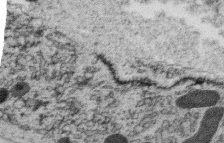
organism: C. elegans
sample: C. elegans oocyte; sperm cells